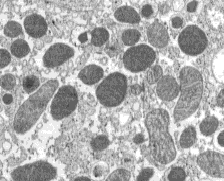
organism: C57BL Mouse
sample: Pancreatic islet